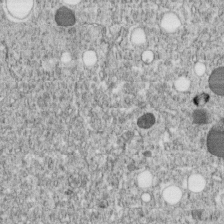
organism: C. elegans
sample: C. elegans embryo early stage